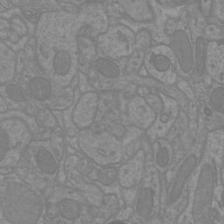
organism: Mouse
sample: Cortical neurons